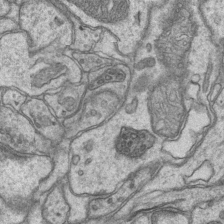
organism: Mouse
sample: CA1 Hippocampus